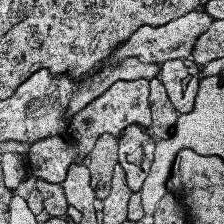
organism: Human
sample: Temporal Lobe